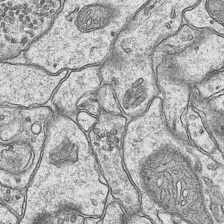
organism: Mouse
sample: CA1 Hippocampus